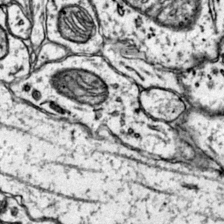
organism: Mouse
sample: Primary visual cortex